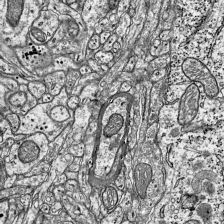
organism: Mouse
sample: Visual Cortex